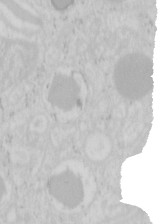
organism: Mouse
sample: Pancreas